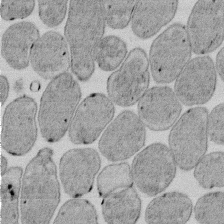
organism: E. coli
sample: Bacterial nucleoid